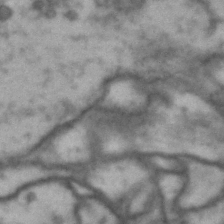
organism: Drosophila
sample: Brain